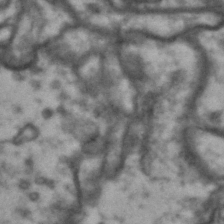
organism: Drosophila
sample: Brain